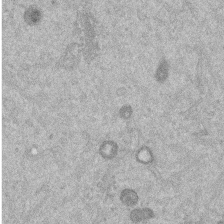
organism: Mouse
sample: Dividing mouse embryo 1 cell stage